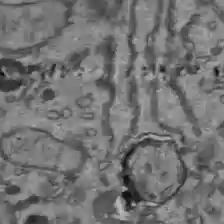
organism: C57BL Mouse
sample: Liver